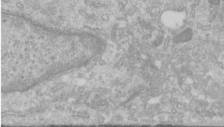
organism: Human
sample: Centriole in RPE cells